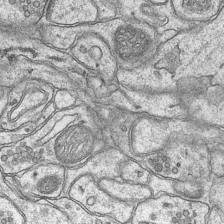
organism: Mouse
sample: CA1 Hippocampus